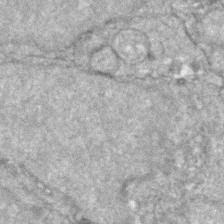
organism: Zebrafish